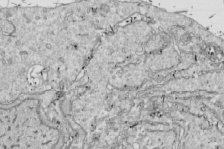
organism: Drosophila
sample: Cell division; meiosis; drosophila spermatocytes